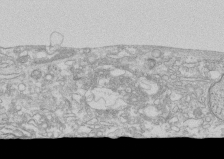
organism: Human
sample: CRL-1474